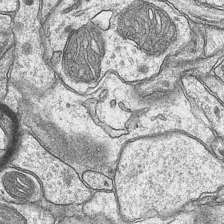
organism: Mouse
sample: CA1 Hippocampus